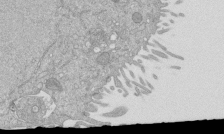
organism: Mouse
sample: ED-1 cell nuclei; centrioles